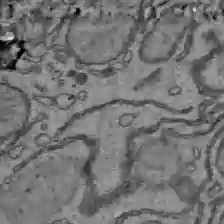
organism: C57BL Mouse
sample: Liver